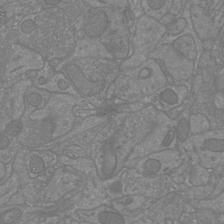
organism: Mouse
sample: Cortical neurons